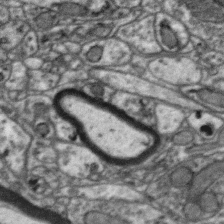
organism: Zebra finch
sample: Brain